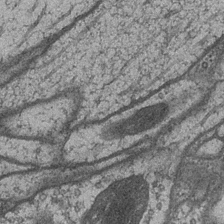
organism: Drosophila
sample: Optic medulla